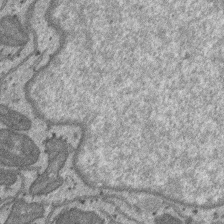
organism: Human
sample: Lung epithelial cells infected with SARS-CoV-2